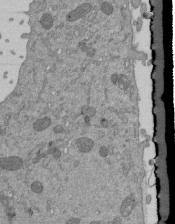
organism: Mouse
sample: ED-1 cell nuclei; centrioles